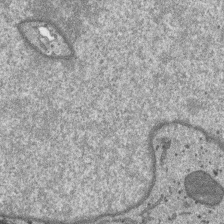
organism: Human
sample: Lung epithelial cells infected with SARS-CoV-2